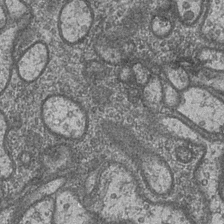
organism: Drosophila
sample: Optic medulla